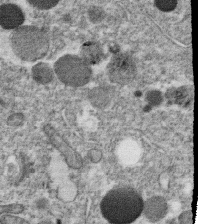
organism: C. elegans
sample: C. elegans oocyte; sperm cells